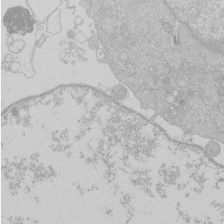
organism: Human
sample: Macrophage cells